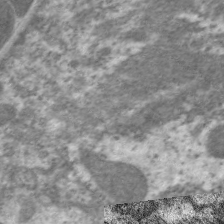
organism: C. elegans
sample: Pharynx